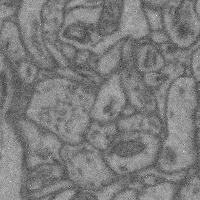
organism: Mouse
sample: Cerebral cortex